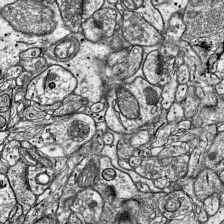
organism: Mouse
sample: Visual Cortex